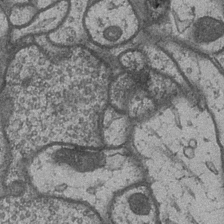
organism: Drosophila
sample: Optic medulla